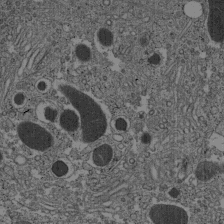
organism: C57BL Mouse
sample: Pancreatic islet